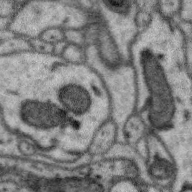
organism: Zebra finch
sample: Brain